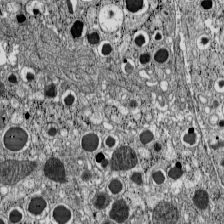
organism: C57BL Mouse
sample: Pancreatic islet